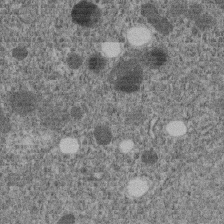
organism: C. elegans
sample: C. elegans embryo early stage